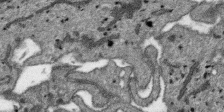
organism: Human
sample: Lung epithelial cells, uninfected (mock) control